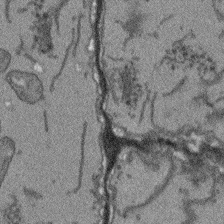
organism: Arabidopsis thaliana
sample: Root tip